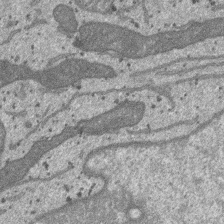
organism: Human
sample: Lung epithelial cells infected with SARS-CoV-2